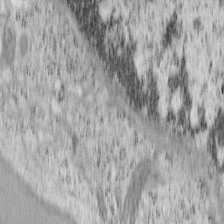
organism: Human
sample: HeLa cells